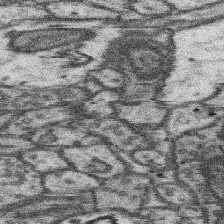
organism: Mouse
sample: Somatosensory cortex neuropil